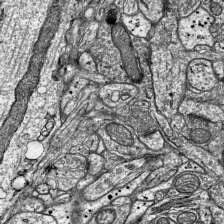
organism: Mouse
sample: Visual Cortex